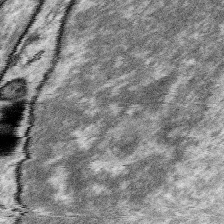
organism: Human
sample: HeLa cells